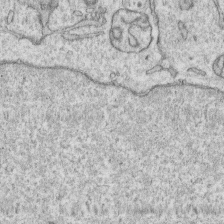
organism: Human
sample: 1205lu cells